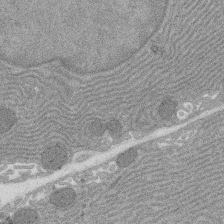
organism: Rat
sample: Salivary granule